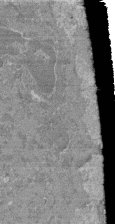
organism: Mouse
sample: Glomerulus